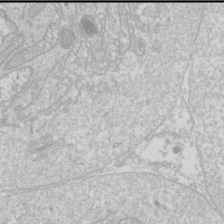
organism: Drosophila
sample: Cell division; meiosis; drosophila spermatocytes